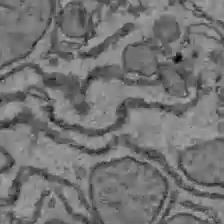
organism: C57BL Mouse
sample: Liver